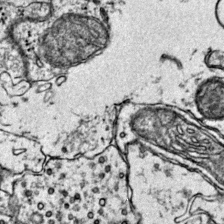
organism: Mouse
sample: Primary visual cortex